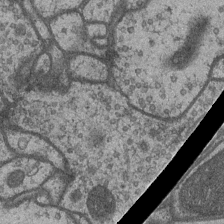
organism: Drosophila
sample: Optic medulla